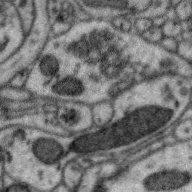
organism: Zebra finch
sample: Brain